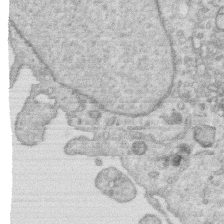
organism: Human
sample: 1205lu cells